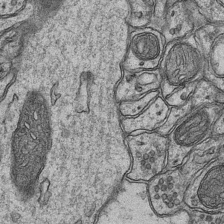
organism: Mouse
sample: CA1 Hippocampus